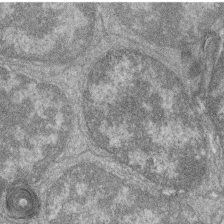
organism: Zebrafish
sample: Cilia; retinal pigment epithelium